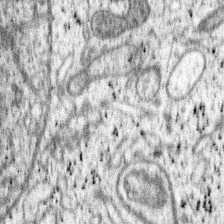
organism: Human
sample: HeLa cells